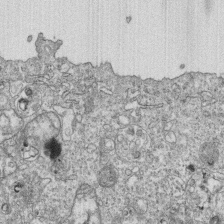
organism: Human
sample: HeLa cell HIV synapse